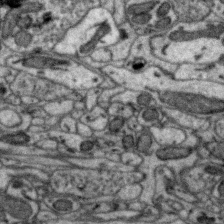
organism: Zebra finch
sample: Brain